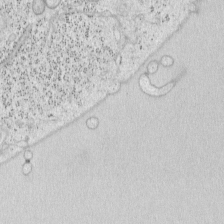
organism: Mouse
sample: OT-I killer T cells with ID8 ovarian cancer cells